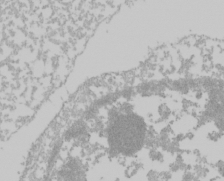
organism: Mouse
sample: Cancer cell death in ED-1 cells